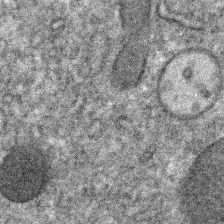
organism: C. elegans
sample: C. elegans embryo